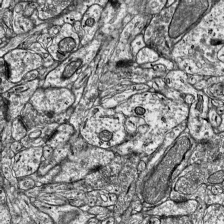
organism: Mouse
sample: Visual Cortex